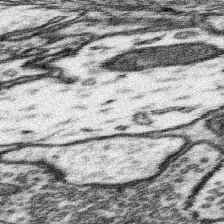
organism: Mouse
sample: Somatosensory cortex neuropil